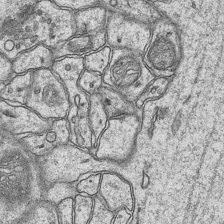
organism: Mouse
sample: CA1 Hippocampus